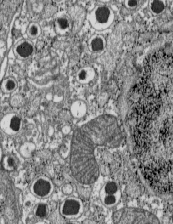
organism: C57BL Mouse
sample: Pancreatic islet